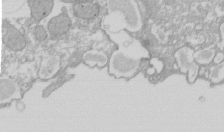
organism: Xenopus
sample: Cilia; centrioles in frog embryo cells